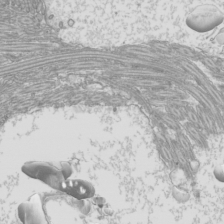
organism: Mouse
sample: Cilia; mouse epididymis